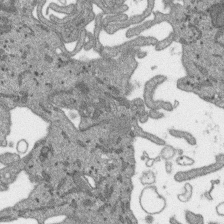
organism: Human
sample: Lung epithelial cells infected with SARS-CoV-2